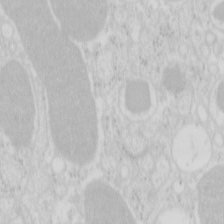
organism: Mouse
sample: Pancreas